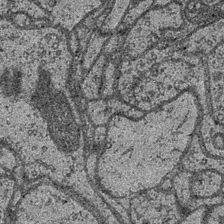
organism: Drosophila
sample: Optic medulla